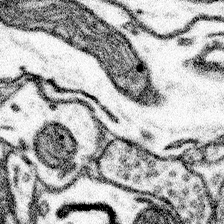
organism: Mouse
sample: Somatosensory cortex neuropil